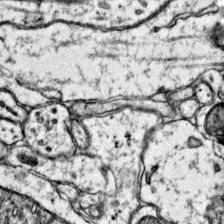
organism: Mouse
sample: Primary visual cortex